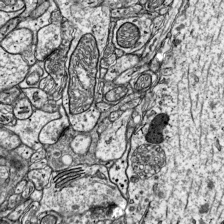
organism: Mouse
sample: Visual Cortex